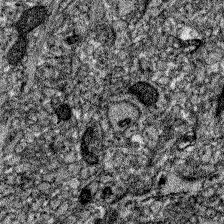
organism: Zebrafish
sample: Larval olfactory bulb